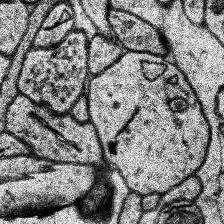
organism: Human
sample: Temporal Lobe